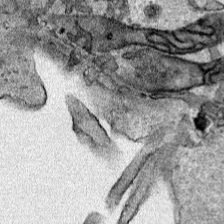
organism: Human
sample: Mitochondria in HCT116 cells